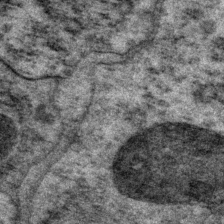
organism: P. pacificus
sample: Pharynx